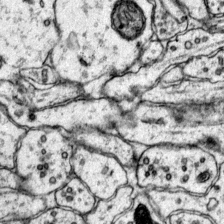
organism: Mouse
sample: Primary visual cortex